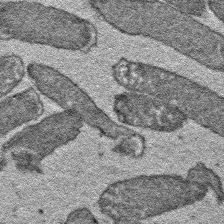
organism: E. coli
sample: E. Coli Bacteria